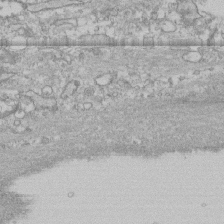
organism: Human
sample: CRL-1474